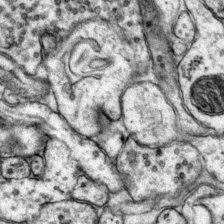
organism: Mouse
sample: Primary visual cortex